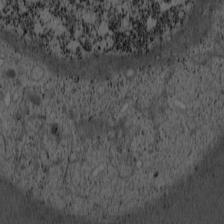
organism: African green monkey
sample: COS-7 cells